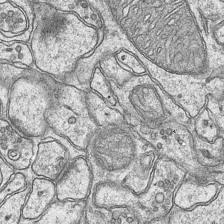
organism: Mouse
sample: CA1 Hippocampus